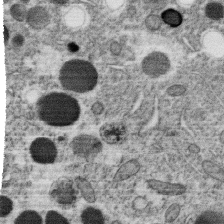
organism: C. elegans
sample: C. elegans oocyte; sperm cells